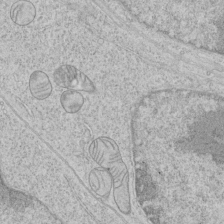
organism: Human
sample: Mitochondria in HCT116 cells